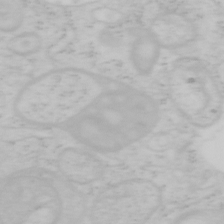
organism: Mouse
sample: OT-I killer T cells with ID8 ovarian cancer cells